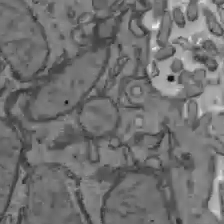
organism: C57BL Mouse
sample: Liver